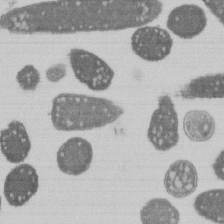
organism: E. coli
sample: Bacterial nucleoid